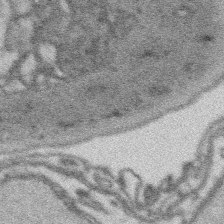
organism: Platynereis dumerilii